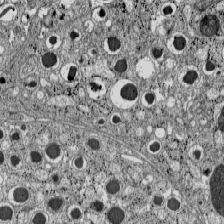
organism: C57BL Mouse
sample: Pancreatic islet